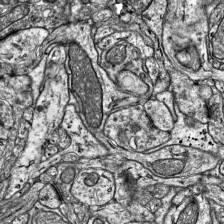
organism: Mouse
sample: Visual Cortex